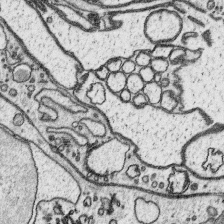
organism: Platynereis dumerilii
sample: Parapodia